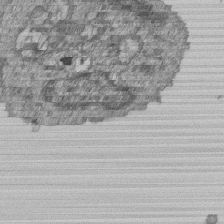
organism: Human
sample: MDA-MB-231 cells